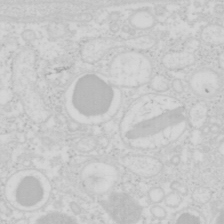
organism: Mouse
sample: Pancreas